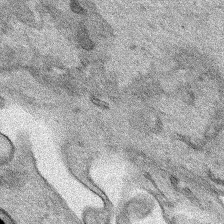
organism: Human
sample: Mitochondria in HCT116 cells